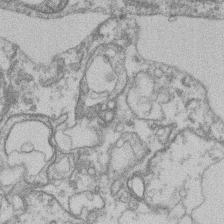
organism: Mouse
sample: T cell stromal cell synapse